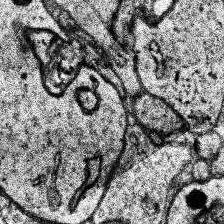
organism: Human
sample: Temporal Lobe